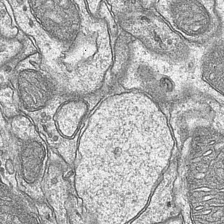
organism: Mouse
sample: CA1 Hippocampus